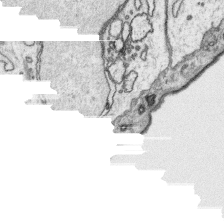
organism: Platynereis dumerilii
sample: Parapodia